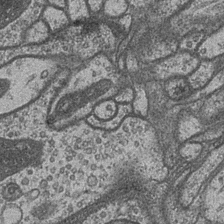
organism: Drosophila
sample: Optic medulla